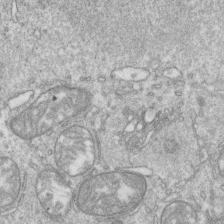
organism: Mouse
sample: Activated OT-1 CD8+ T cells